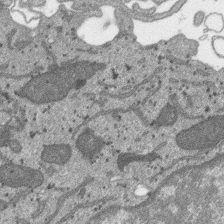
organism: Human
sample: Lung epithelial cells infected with SARS-CoV-2